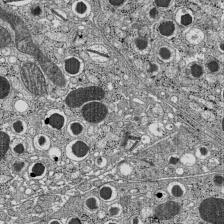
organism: C57BL Mouse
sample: Pancreatic islet